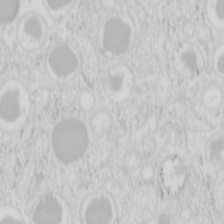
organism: Mouse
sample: Pancreas